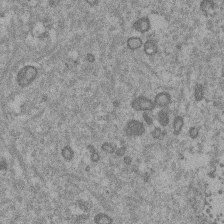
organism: Mouse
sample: Dividing mouse embryo 1 cell stage